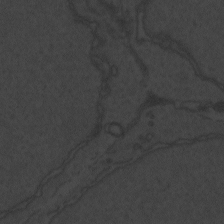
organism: Zebrafish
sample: Macrophage infected with Toxoplasma gondii